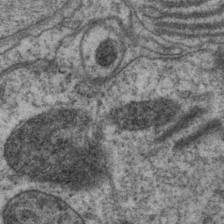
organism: P. pacificus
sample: Pharynx